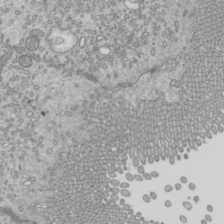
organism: Mouse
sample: Cilia; mouse epididymis